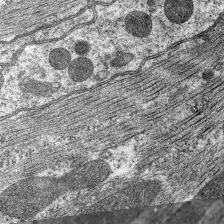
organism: C. elegans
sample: Pharynx